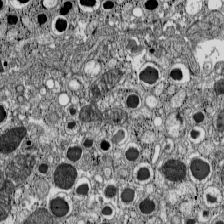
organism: C57BL Mouse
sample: Pancreatic islet